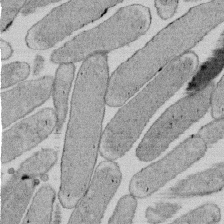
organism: E. coli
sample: Bacterial nucleoid